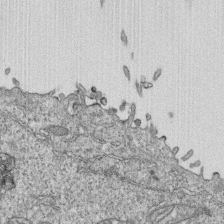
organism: Human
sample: HeLa cell HIV synapse